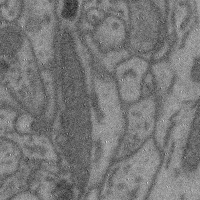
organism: Mouse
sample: Cerebral cortex